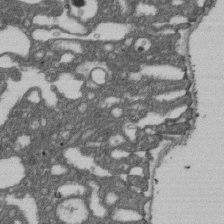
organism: Drosophila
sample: Nephrocyte